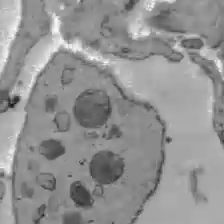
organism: C57BL Mouse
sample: Liver